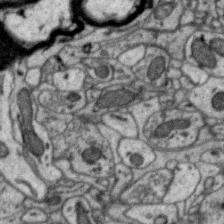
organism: Zebra finch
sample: Brain